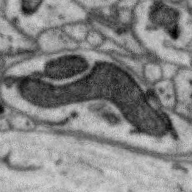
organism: Zebra finch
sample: Brain